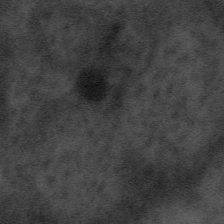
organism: Tuwongella immobilis